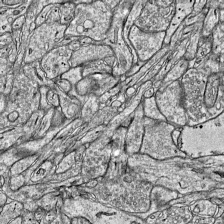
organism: Mouse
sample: Visual Cortex